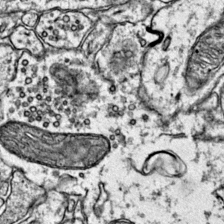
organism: Mouse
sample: Primary visual cortex